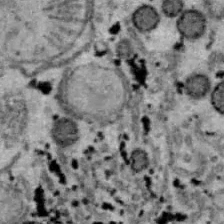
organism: Mouse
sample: Liver from an obese (ob/ob) mouse